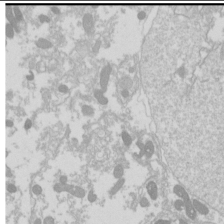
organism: Drosophila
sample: Cell division; meiosis; drosophila spermatocytes